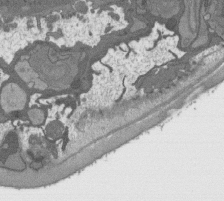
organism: C. elegans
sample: AFD neurons C. elegans